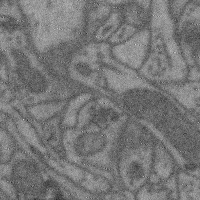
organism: Mouse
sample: Cerebral cortex